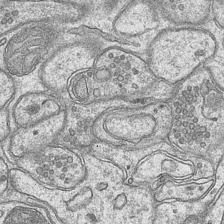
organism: Mouse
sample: CA1 Hippocampus